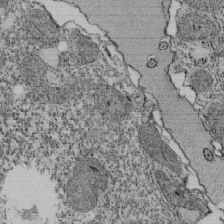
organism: Tetrahymena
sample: Cilia in tetrahymena